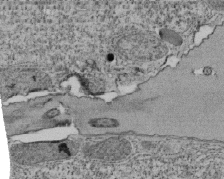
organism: Tetrahymena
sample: Cilia in tetrahymena